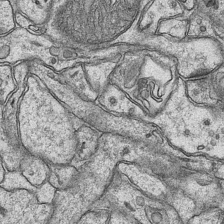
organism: Mouse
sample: CA1 Hippocampus